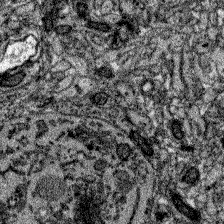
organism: Zebrafish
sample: Larval olfactory bulb